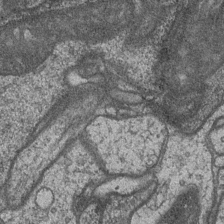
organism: Drosophila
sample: Optic medulla